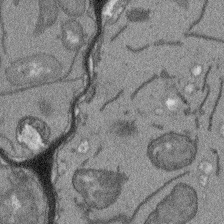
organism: Arabidopsis thaliana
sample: Root tip